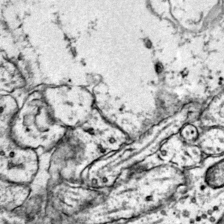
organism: Mouse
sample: Primary visual cortex